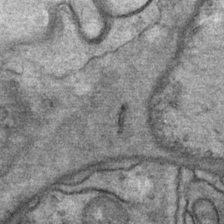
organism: Mouse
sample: Mouse Salivary gland